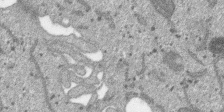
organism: Human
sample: Lung epithelial cells infected with SARS-CoV-2